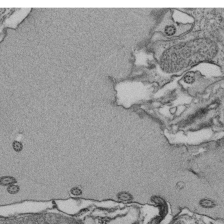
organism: Tetrahymena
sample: Cilia in tetrahymena